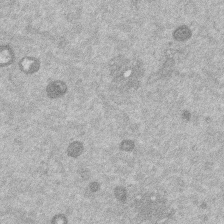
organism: Mouse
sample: Dividing mouse embryo 1 cell stage